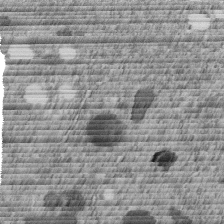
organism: C. elegans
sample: C. elegans embryo early stage